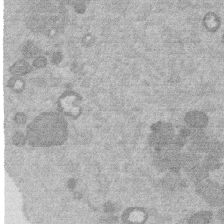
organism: Mouse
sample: Dividing mouse embryo 1 cell stage